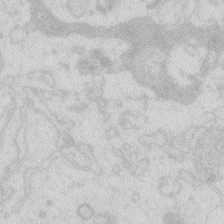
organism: Zebrafish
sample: Macrophage